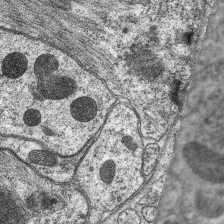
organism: C. elegans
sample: Pharynx